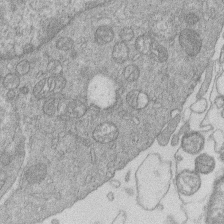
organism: Human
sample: Macrophage cells